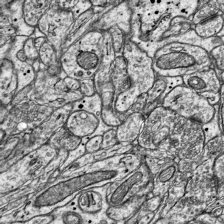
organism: Mouse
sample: Visual Cortex